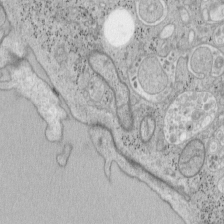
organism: Mouse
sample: OT-I killer T cells with ID8 ovarian cancer cells